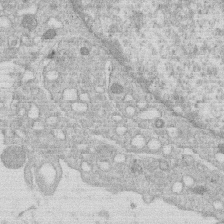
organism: Human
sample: Macrophage cells